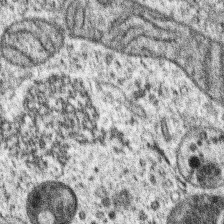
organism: Human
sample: HeLa cells